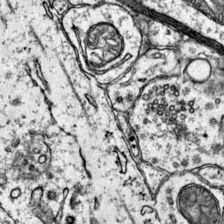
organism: Mouse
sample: Primary visual cortex